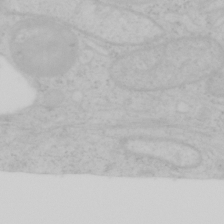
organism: Mouse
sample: OT-I killer T cells with ID8 ovarian cancer cells